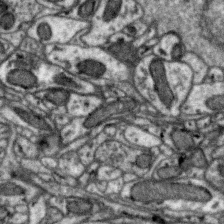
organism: Zebra finch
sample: Brain